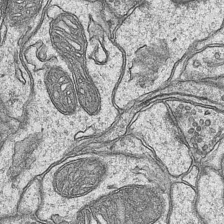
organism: Mouse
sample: CA1 Hippocampus